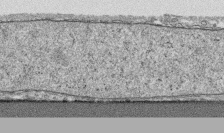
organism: Human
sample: CRL-1474